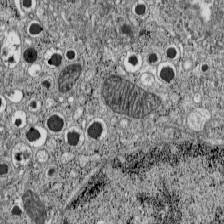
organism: C57BL Mouse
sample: Pancreatic islet